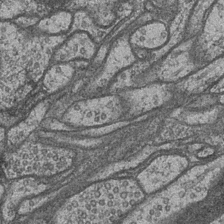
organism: Drosophila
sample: Optic medulla